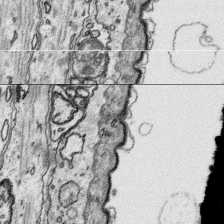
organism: Platynereis dumerilii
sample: Parapodia